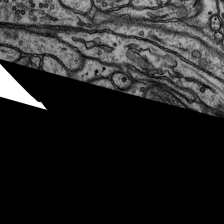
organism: Rat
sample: Hippocampus